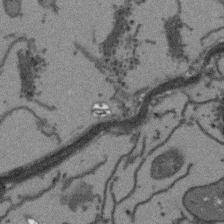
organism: Arabidopsis thaliana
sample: Root tip